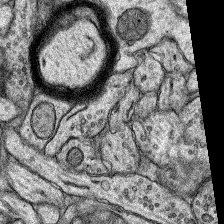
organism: Rat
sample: Hippocampus